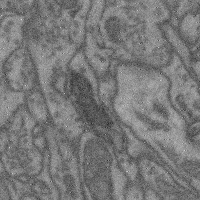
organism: Mouse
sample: Cerebral cortex